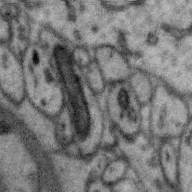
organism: Zebra finch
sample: Brain